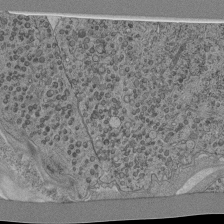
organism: C. elegans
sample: C. elegans pharynx